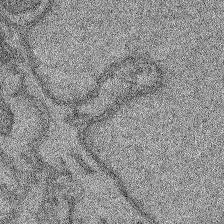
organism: Human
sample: HeLa cells